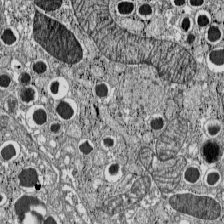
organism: C57BL Mouse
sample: Pancreatic islet